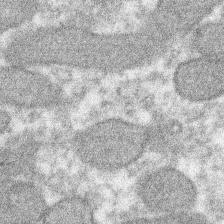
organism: Xenopus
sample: Cilia; centrioles in frog embryo cells